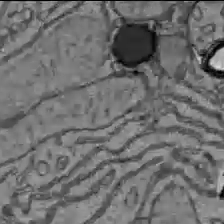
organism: C57BL Mouse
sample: Liver